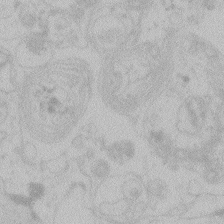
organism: Zebrafish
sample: Macrophage infected with Toxoplasma gondii